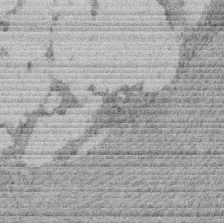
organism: Rat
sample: Salivary granule